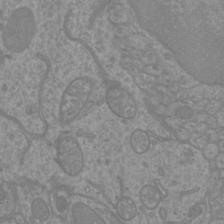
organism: Mouse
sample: Cortical neurons